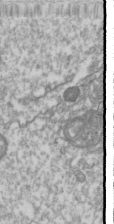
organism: Drosophila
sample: Cell division; meiosis; drosophila spermatocytes